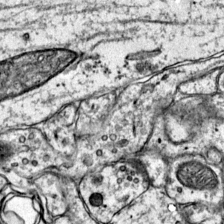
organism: Mouse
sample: Primary visual cortex